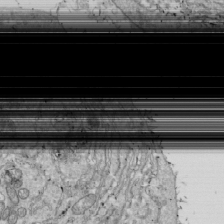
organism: Drosophila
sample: Cell division; meiosis; drosophila spermatocytes